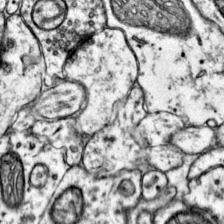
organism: Mouse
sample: Primary visual cortex